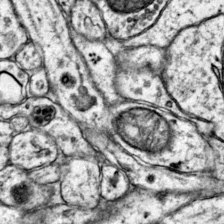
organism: Mouse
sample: Primary visual cortex